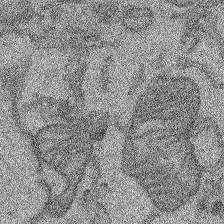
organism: Human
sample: HeLa cells